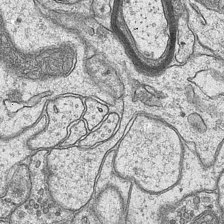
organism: Mouse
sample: CA1 Hippocampus